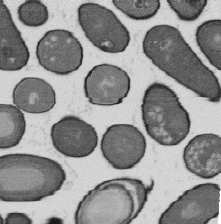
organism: B. subtilis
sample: Bacterial spore